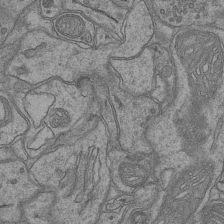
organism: Mouse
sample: CA1 Hippocampus